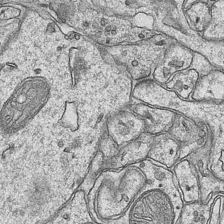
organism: Mouse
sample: CA1 Hippocampus